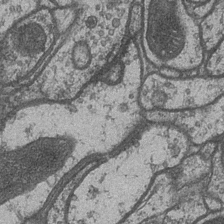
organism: Drosophila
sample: Optic medulla